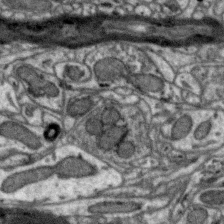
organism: Zebra finch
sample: Brain